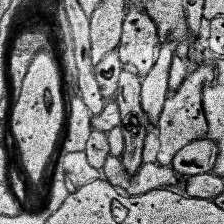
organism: Human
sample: Temporal Lobe